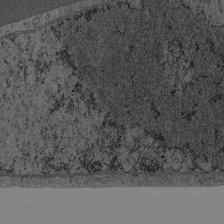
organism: African green monkey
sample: COS-7 cells